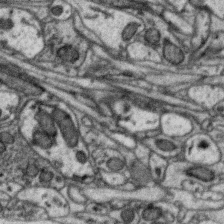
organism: Zebra finch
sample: Brain